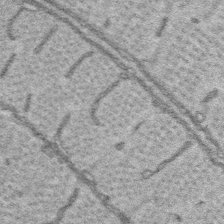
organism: Platynereis dumerilii